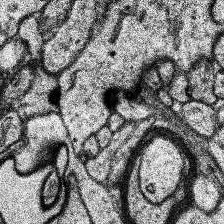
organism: Human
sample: Temporal Lobe